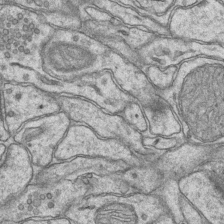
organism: Mouse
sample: CA1 Hippocampus